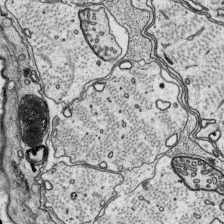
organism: Platynereis dumerilii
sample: Parapodia